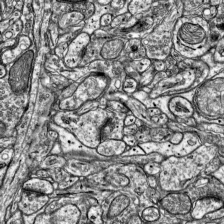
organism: Mouse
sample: Visual Cortex